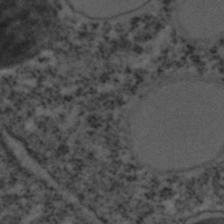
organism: C. elegans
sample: C. elegans embryo